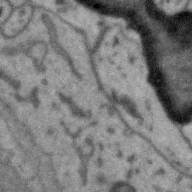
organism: Zebra finch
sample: Brain